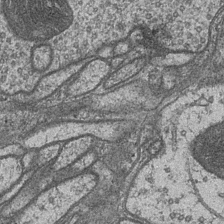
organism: Drosophila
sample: Optic medulla